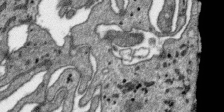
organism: Human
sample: Lung epithelial cells, uninfected (mock) control